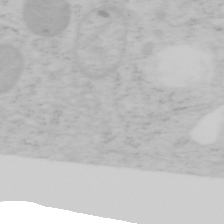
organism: Mouse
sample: OT-I killer T cells with ID8 ovarian cancer cells